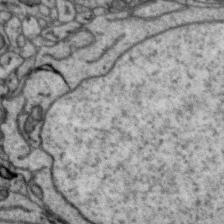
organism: Zebra finch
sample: Brain